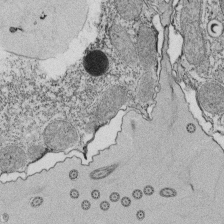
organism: Tetrahymena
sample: Cilia in tetrahymena